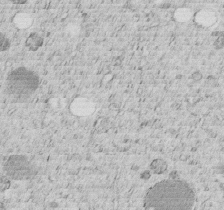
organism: C. elegans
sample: C. elegans embryo early stage